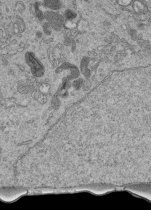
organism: Human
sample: Retinal organoid Rod and Cone cells